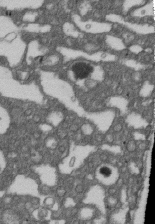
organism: Drosophila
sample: Nephrocyte